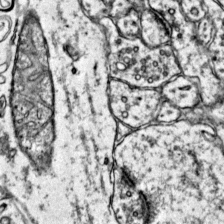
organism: Mouse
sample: Primary visual cortex